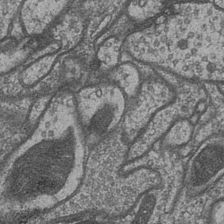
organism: Drosophila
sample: Optic medulla